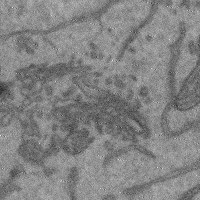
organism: Mouse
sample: Cerebral cortex